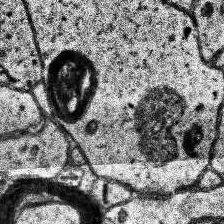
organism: Human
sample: Temporal Lobe